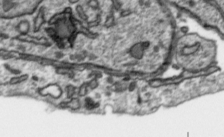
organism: Toxoplasma gondii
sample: Parasites in a vacuole inside a host cell